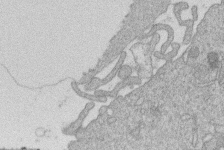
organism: Human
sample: Macrophage cells